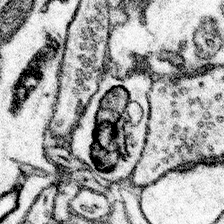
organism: Mouse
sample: Somatosensory cortex neuropil